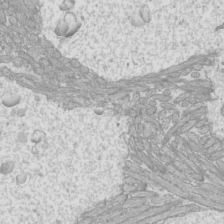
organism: Mouse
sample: Cilia; mouse epididymis